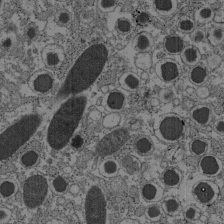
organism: C57BL Mouse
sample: Pancreatic islet